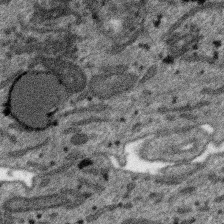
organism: Human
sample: Lung epithelial cells infected with SARS-CoV-2